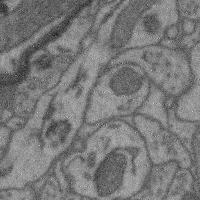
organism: Mouse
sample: Cerebral cortex